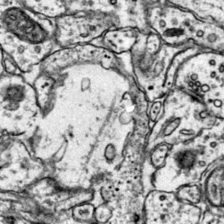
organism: Mouse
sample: Primary visual cortex